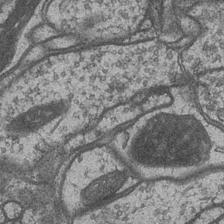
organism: Drosophila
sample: Optic medulla